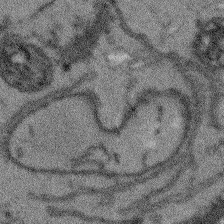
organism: Arabidopsis thaliana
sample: Root tip